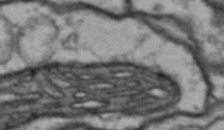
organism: Drosophila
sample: Brain